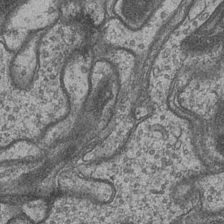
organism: Drosophila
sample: Optic medulla